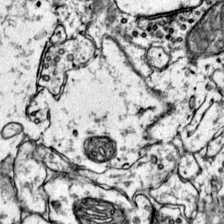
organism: Mouse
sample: Primary visual cortex